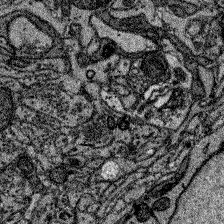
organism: Zebrafish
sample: Larval olfactory bulb